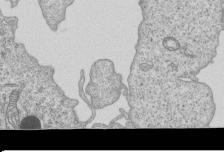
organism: Human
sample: MDA-MB-231 cells